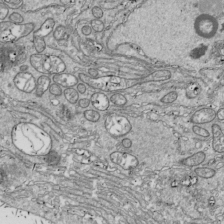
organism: Drosophila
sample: Cell division; meiosis; drosophila spermatocytes